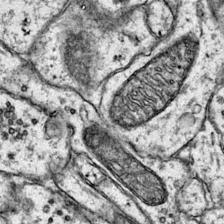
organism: Mouse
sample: Primary visual cortex